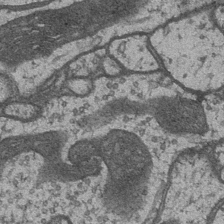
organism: Drosophila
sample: Optic medulla